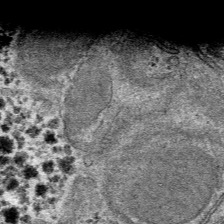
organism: Mouse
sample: Mouse hepatocytes